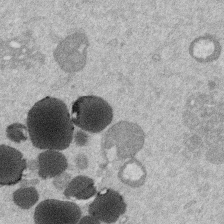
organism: Mouse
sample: Dividing mouse embryo 1 cell stage